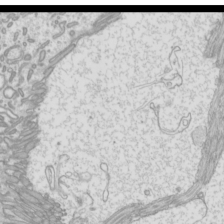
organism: Mouse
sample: Cilia; mouse epididymis